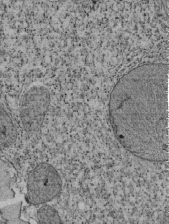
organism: Tetrahymena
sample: Cilia in tetrahymena